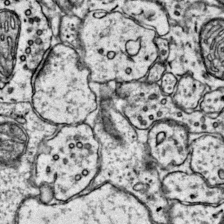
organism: Mouse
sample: Primary visual cortex